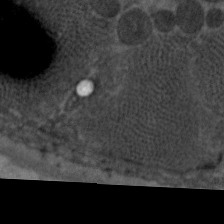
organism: C. elegans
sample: Pharynx